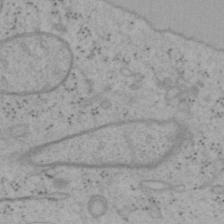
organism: Human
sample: HeLa cells